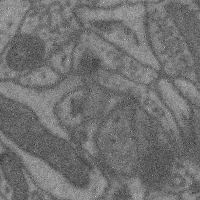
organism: Mouse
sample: Cerebral cortex